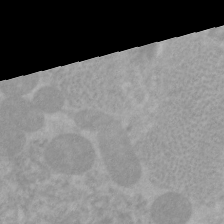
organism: C. elegans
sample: Pharynx